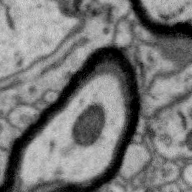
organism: Zebra finch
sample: Brain